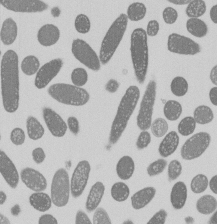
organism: E. coli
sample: Bacterial nucleoid